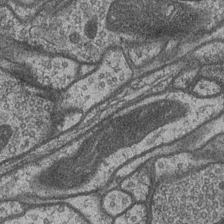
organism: Drosophila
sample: Optic medulla